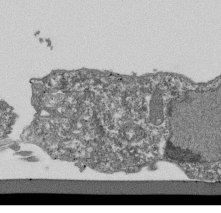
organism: Dictyostelium discoideum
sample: Dictyostelium multivesicular bodies